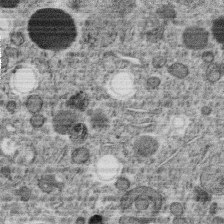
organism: C. elegans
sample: C. elegans oocyte; sperm cells